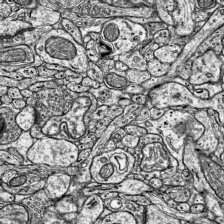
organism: Mouse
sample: Visual Cortex